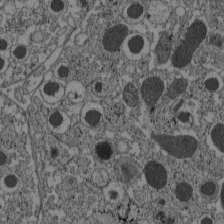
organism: C57BL Mouse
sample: Pancreatic islet